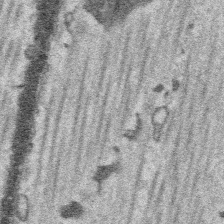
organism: Platynereis dumerilii